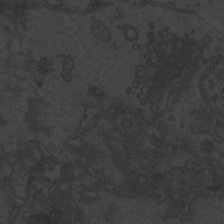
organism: Zebrafish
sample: Macrophage infected with Toxoplasma gondii